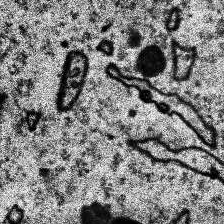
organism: Human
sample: Temporal Lobe